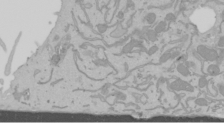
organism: Mouse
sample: Cancer cell death in ED-1 cells